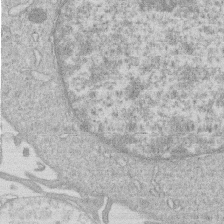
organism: Human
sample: Macrophage cells